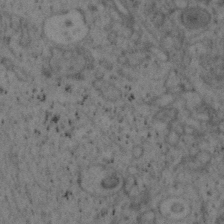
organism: Human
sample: HeLa cells